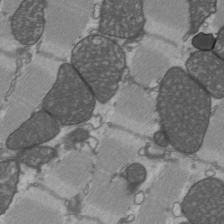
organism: C57BL Mouse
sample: Heart